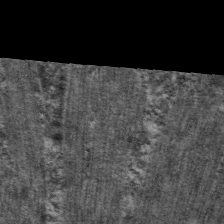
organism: C. elegans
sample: Pharynx